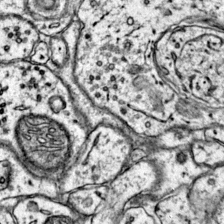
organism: Mouse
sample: Primary visual cortex